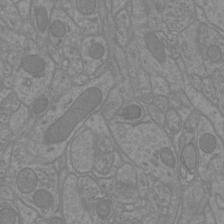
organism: Mouse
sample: Cortical neurons